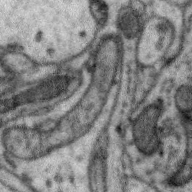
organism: Zebra finch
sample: Brain